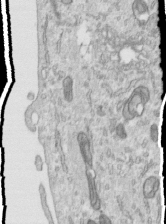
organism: Human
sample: Centriole in RPE cells